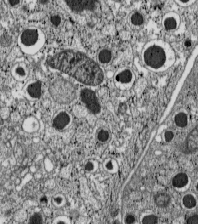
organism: C57BL Mouse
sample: Pancreatic islet